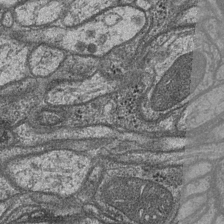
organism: Drosophila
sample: Optic medulla